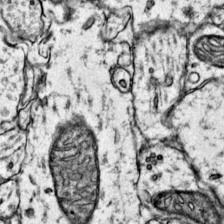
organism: Mouse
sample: Primary visual cortex